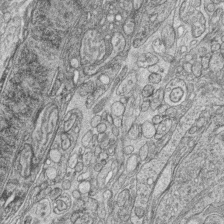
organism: Zebrafish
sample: synaptic ribbons in rod cells and cone cells